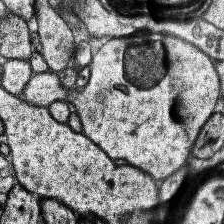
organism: Human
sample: Temporal Lobe